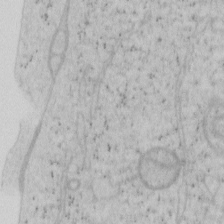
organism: Human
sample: HeLa cells